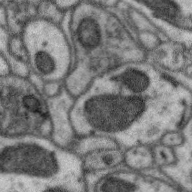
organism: Zebra finch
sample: Brain